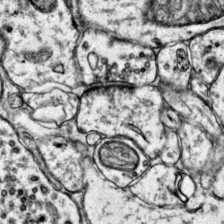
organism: Mouse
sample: Primary visual cortex